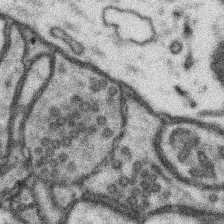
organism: Mouse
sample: Somatosensory cortex neuropil